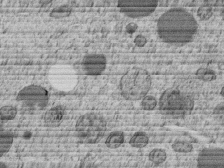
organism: C. elegans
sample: C. elegans embryo early stage